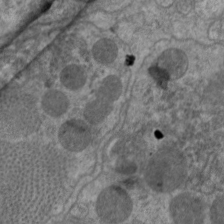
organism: C. elegans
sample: Pharynx